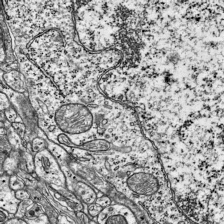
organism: Mouse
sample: Visual Cortex